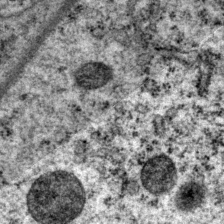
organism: P. pacificus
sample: Pharynx